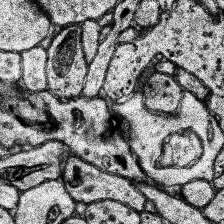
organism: Human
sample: Temporal Lobe